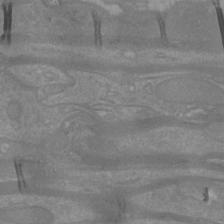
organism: Mouse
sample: Cortical neurons